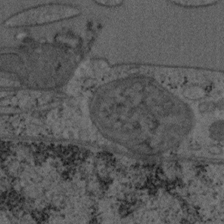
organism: Human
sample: HeLa cells